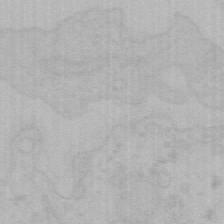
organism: Mouse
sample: Choroid plexus